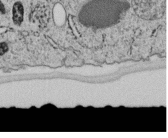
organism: C. elegans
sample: C. elegans embryo early stage